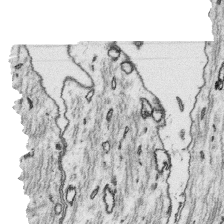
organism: Platynereis dumerilii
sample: Parapodia